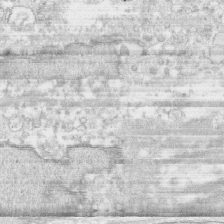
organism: Human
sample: CRL-1474